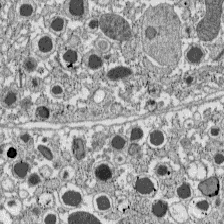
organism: C57BL Mouse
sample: Pancreatic islet